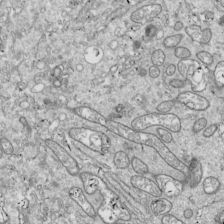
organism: Drosophila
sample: Cell division; meiosis; drosophila spermatocytes